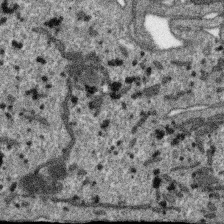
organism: Human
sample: Lung epithelial cells infected with SARS-CoV-2